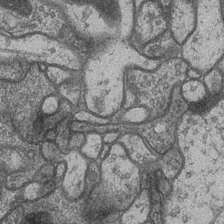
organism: Drosophila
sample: Optic medulla